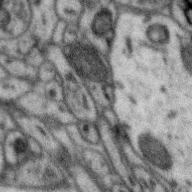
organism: Zebra finch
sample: Brain